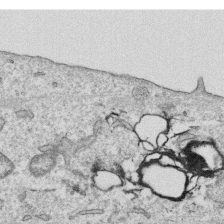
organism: Human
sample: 1205lu cells